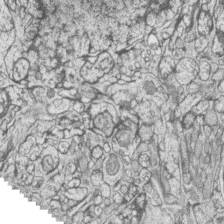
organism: Zebrafish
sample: synaptic ribbons in rod cells and cone cells